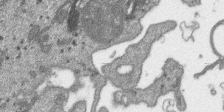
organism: Human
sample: Lung epithelial cells infected with SARS-CoV-2